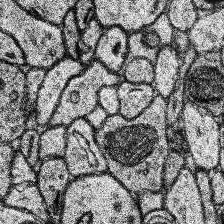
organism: Human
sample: Temporal Lobe